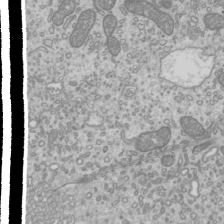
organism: Mouse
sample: Cilia; mouse epididymis